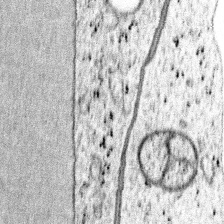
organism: Human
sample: HeLa cells